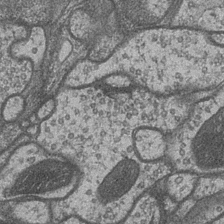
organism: Drosophila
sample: Optic medulla